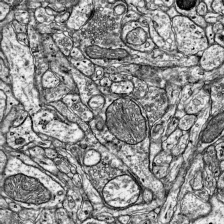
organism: Mouse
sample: Visual Cortex